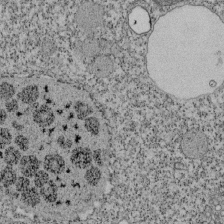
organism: Tetrahymena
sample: Cilia in tetrahymena